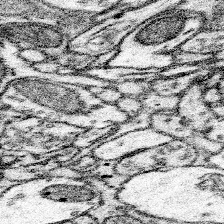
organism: Mouse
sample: Somatosensory cortex neuropil